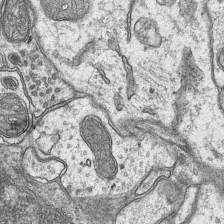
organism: Mouse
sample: CA1 Hippocampus